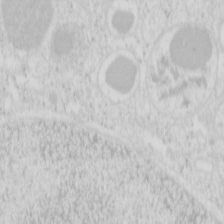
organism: Mouse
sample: Pancreas